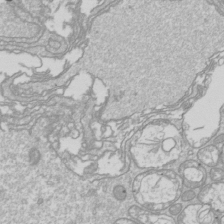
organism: Drosophila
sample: Cell division; meiosis; drosophila spermatocytes